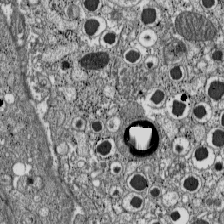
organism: C57BL Mouse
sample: Pancreatic islet